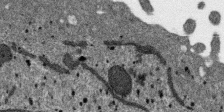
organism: Human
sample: Lung epithelial cells, uninfected (mock) control